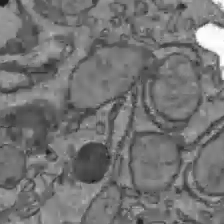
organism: C57BL Mouse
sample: Liver